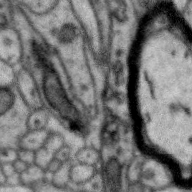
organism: Zebra finch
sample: Brain